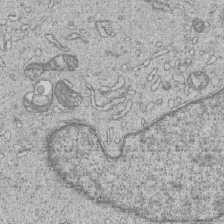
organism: Human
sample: MDA-MB-231 cells